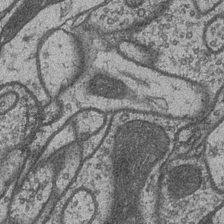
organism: Drosophila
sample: Optic medulla